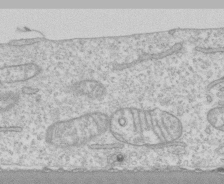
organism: Human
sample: CRL-1474